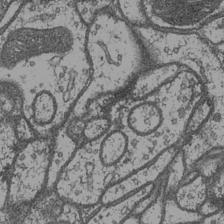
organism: Drosophila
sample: Optic medulla